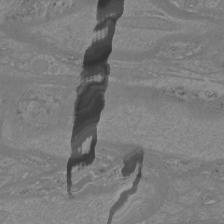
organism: Mouse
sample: Cortical neurons